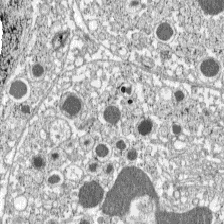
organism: C57BL Mouse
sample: Pancreatic islet